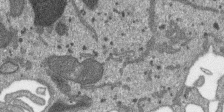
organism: Human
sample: Lung epithelial cells infected with SARS-CoV-2